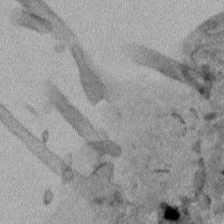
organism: Human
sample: Mitochondria in HCT116 cells